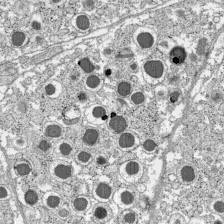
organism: C57BL Mouse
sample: Pancreatic islet